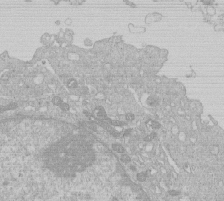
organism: Human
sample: Macrophage cells